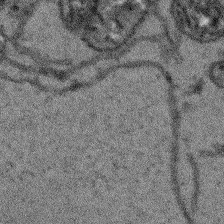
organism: Arabidopsis thaliana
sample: Root tip